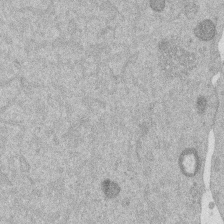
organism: Mouse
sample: Dividing mouse embryo 1 cell stage